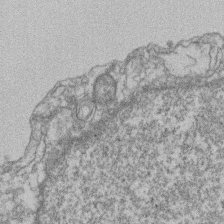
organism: Mouse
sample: T cell stromal cell synapse